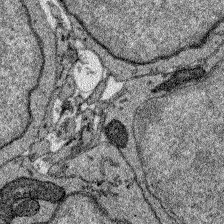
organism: Zebrafish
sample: Larval olfactory bulb